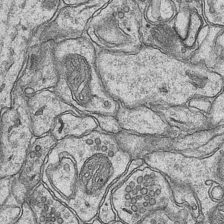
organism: Mouse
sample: CA1 Hippocampus